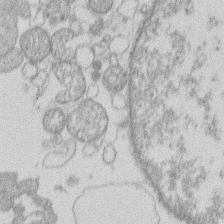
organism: Human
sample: Macrophage cells